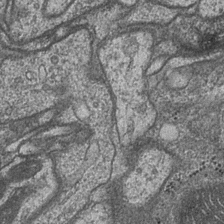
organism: Drosophila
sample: Optic medulla